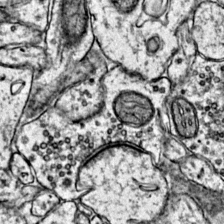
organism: Mouse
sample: Primary visual cortex